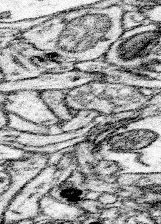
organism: Mouse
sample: Somatosensory cortex neuropil